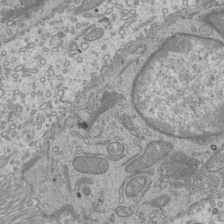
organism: Mouse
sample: Cilia; mouse epididymis